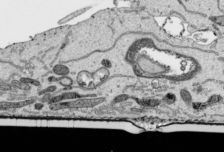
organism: Human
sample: Mitochondria in HCT116 cells